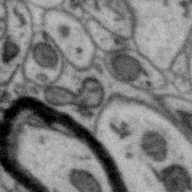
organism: Zebra finch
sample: Brain